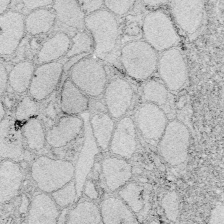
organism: Zebrafish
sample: Whole-Brain